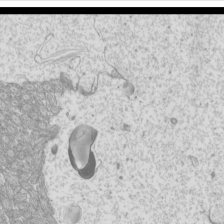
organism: Mouse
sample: Cilia; mouse epididymis